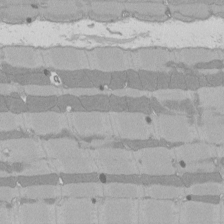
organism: Rat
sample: Left ventricle